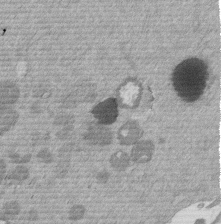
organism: Mouse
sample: Dividing mouse embryo 1 cell stage